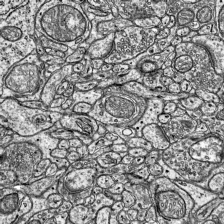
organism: Mouse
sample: Visual Cortex